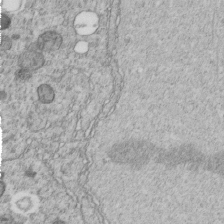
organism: C. elegans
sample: C. elegans embryo early stage